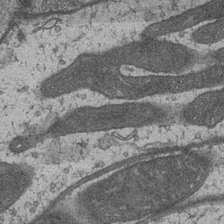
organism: Drosophila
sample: Optic medulla